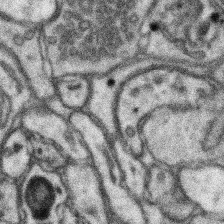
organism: Mouse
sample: Somatosensory cortex neuropil